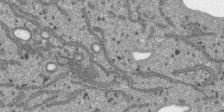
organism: Human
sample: Lung epithelial cells infected with SARS-CoV-2